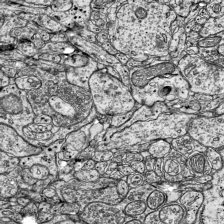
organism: Mouse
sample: Visual Cortex